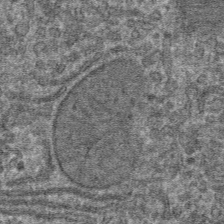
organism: Mouse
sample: Mouse hepatocytes